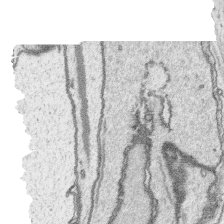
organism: Platynereis dumerilii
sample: Parapodia